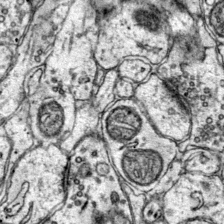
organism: Mouse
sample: Primary visual cortex